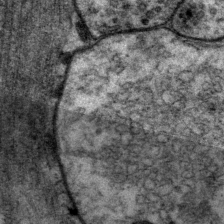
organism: P. pacificus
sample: Pharynx